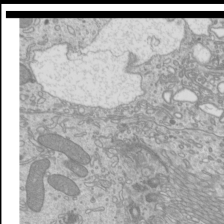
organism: Mouse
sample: Cilia; mouse epididymis